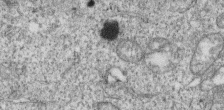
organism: Human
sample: HeLa cell HIV synapse